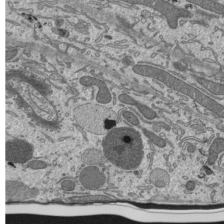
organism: Mouse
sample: Mouse epididymis efferent ductule cilia